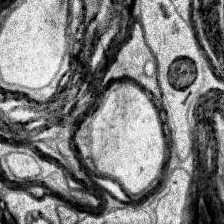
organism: Human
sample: Temporal Lobe